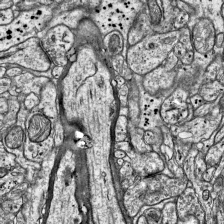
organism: Mouse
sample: Visual Cortex